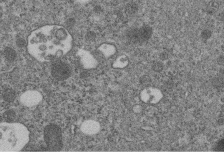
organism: C. elegans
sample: C. elegans embryo early stage